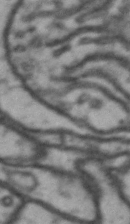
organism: Drosophila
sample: Brain